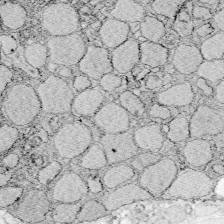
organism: Zebrafish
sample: Whole-Brain